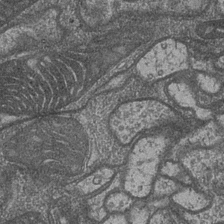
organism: Drosophila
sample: Optic medulla